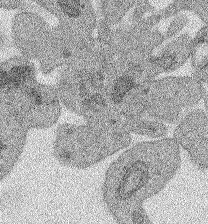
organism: Human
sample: HeLa cells